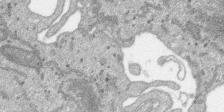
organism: Human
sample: Lung epithelial cells infected with SARS-CoV-2